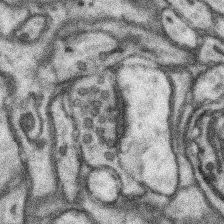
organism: Mouse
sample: Somatosensory cortex neuropil